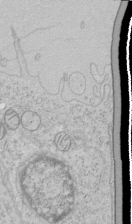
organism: Human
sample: Mitochondria in HCT116 cells